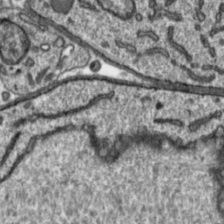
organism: Toxoplasma gondii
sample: Parasites in a vacuole inside a host cell